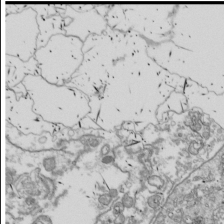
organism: Drosophila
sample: Cell division; meiosis; drosophila spermatocytes